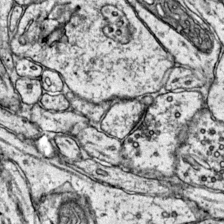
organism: Mouse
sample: Primary visual cortex